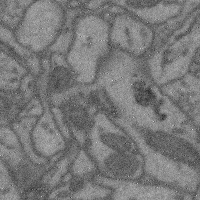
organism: Mouse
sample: Cerebral cortex